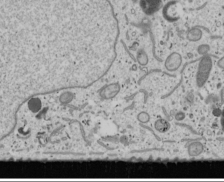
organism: Human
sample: Mitochondria in U2OS cells